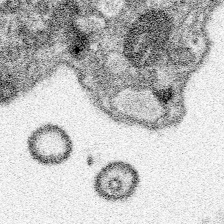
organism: Spongilla lacustris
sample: Neuroid cell